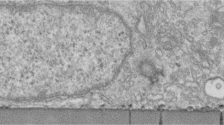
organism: Human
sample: Centriole in fibroblast cells